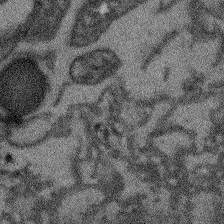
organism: Arabidopsis thaliana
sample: Root tip